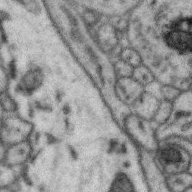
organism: Zebra finch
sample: Brain